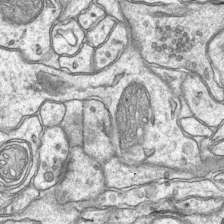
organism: Mouse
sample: CA1 Hippocampus